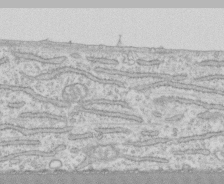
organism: Human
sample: CRL-1474